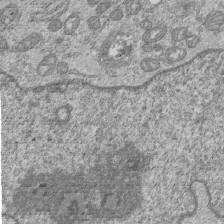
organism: Human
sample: MDA-MB-231 cells